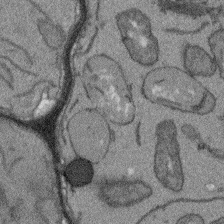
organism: Arabidopsis thaliana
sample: Root tip